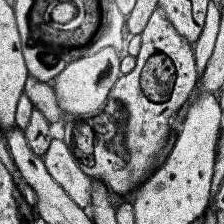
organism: Human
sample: Temporal Lobe